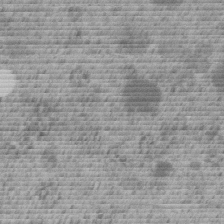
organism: C. elegans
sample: C. elegans embryo early stage